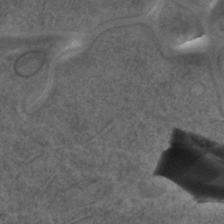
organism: C. elegans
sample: C. elegans embryo